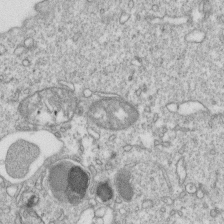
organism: Mouse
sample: Activated OT-1 CD8+ T cells